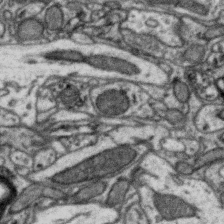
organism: Zebra finch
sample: Brain